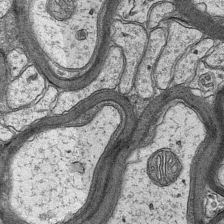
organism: Mouse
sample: CA1 Hippocampus